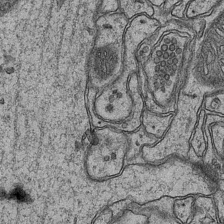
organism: Mouse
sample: CA1 Hippocampus